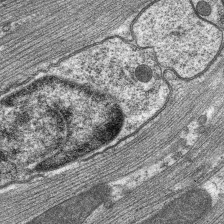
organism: C. elegans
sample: Pharynx